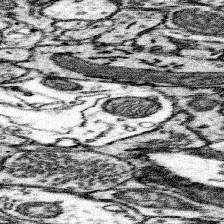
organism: Mouse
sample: Somatosensory cortex neuropil